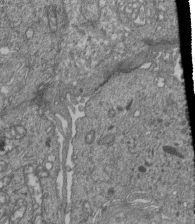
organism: Human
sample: Retinal organoid Rod and Cone cells